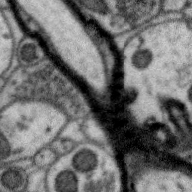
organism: Zebra finch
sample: Brain